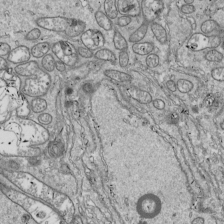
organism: Drosophila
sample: Cell division; meiosis; drosophila spermatocytes